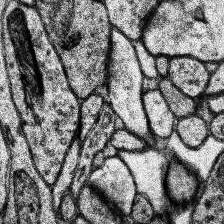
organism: Human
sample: Temporal Lobe